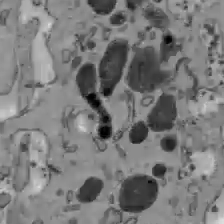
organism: C57BL Mouse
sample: Liver